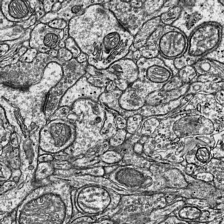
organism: Mouse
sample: Visual Cortex